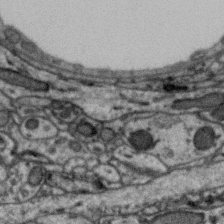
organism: Zebra finch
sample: Brain